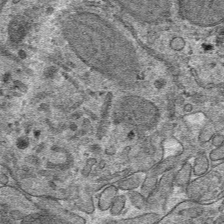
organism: Mouse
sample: Mouse hepatocytes